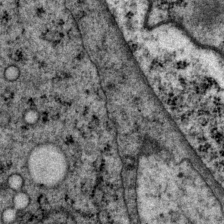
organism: P. pacificus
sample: Pharynx